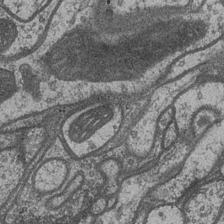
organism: Drosophila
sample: Optic medulla